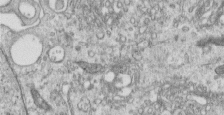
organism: Human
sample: Centriole in RPE cells